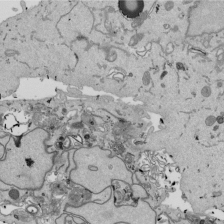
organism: Mouse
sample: ED-1 cell nuclei; centrioles